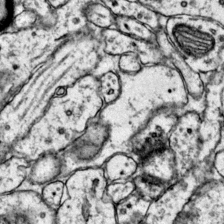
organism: Mouse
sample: Primary visual cortex